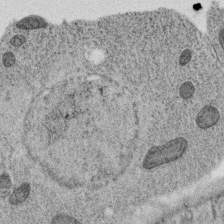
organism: C. elegans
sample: C. elegans oocyte; sperm cells